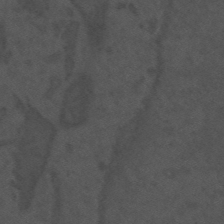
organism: Mouse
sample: Suprachiasmatic nucleus